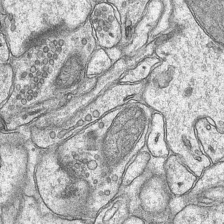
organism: Mouse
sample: CA1 Hippocampus